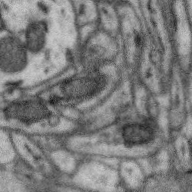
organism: Zebra finch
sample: Brain